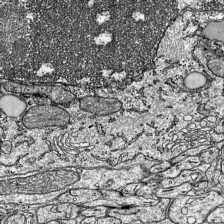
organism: Mouse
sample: Visual Cortex